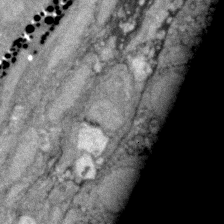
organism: Zebrafish